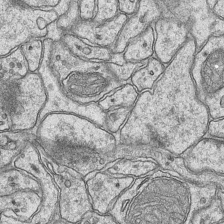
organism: Mouse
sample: CA1 Hippocampus